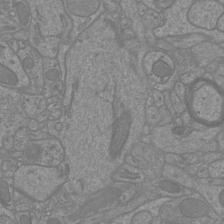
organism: Mouse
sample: Cortical neurons